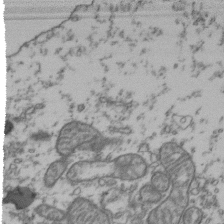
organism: Human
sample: Activated Jurkat CD4+ T cells